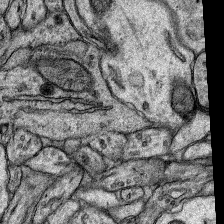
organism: Rat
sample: Hippocampus